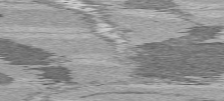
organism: C57BL Mouse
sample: Heart